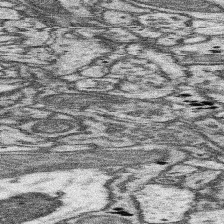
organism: Mouse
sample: Somatosensory cortex neuropil